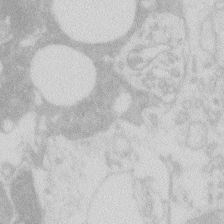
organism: Zebrafish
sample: Macrophage